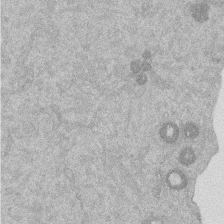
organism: Mouse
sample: Dividing mouse embryo 1 cell stage